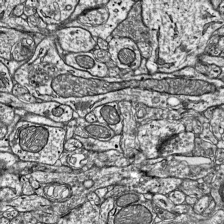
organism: Mouse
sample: Visual Cortex